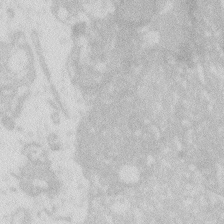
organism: Zebrafish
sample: Macrophage